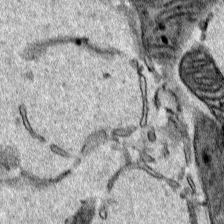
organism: Human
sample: Mitochondria in HCT116 cells